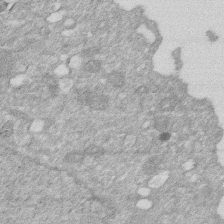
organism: Human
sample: HIV infected U937 cells